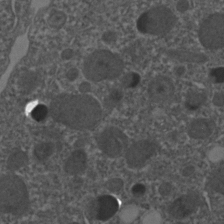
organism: C. elegans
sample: C. elegans embryo